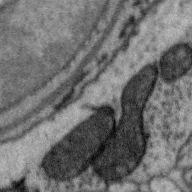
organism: Zebra finch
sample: Brain